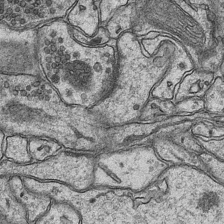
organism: Mouse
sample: CA1 Hippocampus